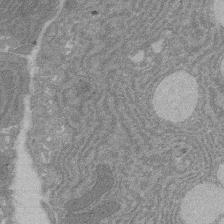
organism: Rat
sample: Salivary granule